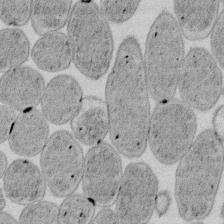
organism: E. coli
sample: Bacterial nucleoid